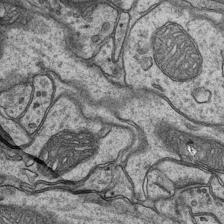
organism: Mouse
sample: CA1 Hippocampus